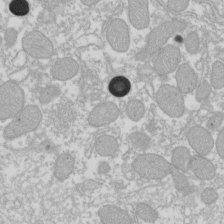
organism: Xenopus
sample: Cilia; centrioles in frog embryo cells